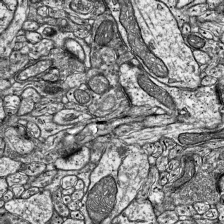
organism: Mouse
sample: Visual Cortex